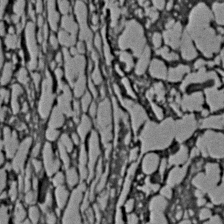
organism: C. elegans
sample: C. elegans embryo